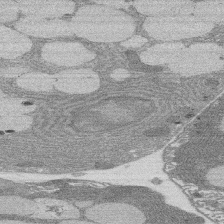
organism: Rat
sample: Salivary granule